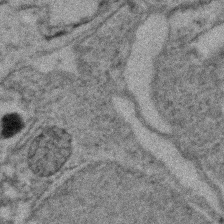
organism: Zebrafish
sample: Zebrafish embryo